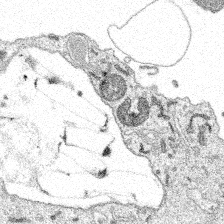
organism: Spongilla lacustris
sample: Multiple